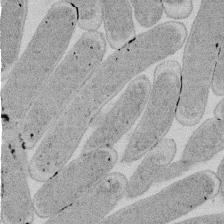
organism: E. coli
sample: Bacterial nucleoid